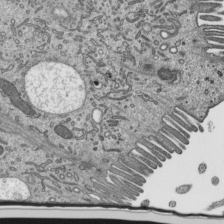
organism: Mouse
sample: Mouse epididymis efferent ductule cilia